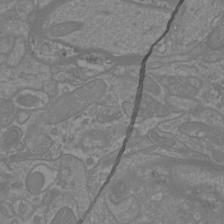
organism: Mouse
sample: Cortical neurons